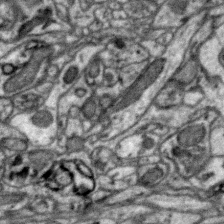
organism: Zebra finch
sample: Brain